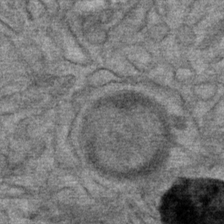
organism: Mouse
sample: Mouse Salivary gland